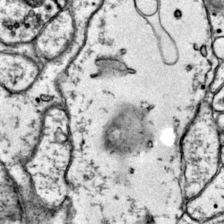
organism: Mouse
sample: Primary visual cortex